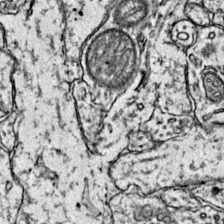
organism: Mouse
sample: Primary visual cortex